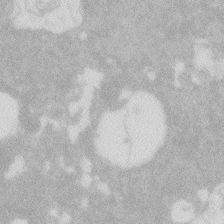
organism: Zebrafish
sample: Macrophage